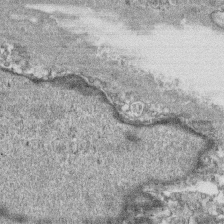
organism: Human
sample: CRL-1474